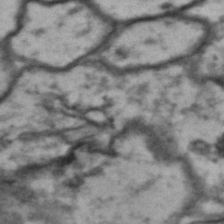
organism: Drosophila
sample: Brain